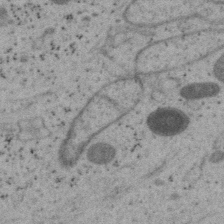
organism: Human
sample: HeLa cells